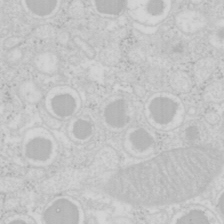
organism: Mouse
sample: Pancreas